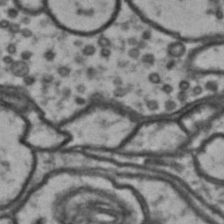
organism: Drosophila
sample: Brain